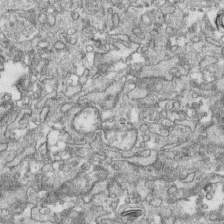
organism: Human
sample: CRL-1474